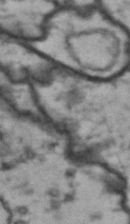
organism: Drosophila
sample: Brain